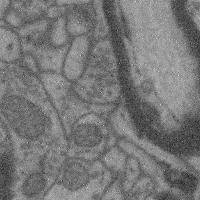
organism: Mouse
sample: Cerebral cortex